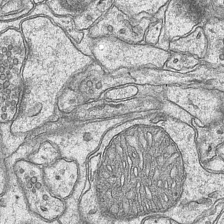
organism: Mouse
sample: CA1 Hippocampus